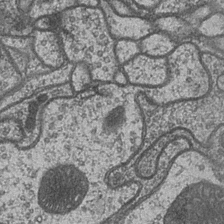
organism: Drosophila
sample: Optic medulla